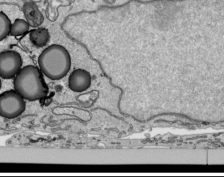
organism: Human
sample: Mitochondria in HCT116 cells